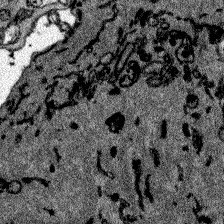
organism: Zebrafish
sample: Larval olfactory bulb